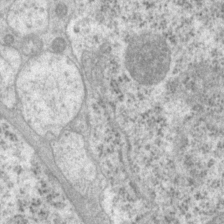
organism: P. pacificus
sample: Pharynx